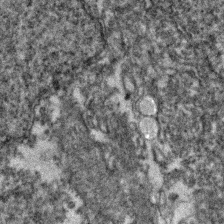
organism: Zebrafish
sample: Zebrafish embryo